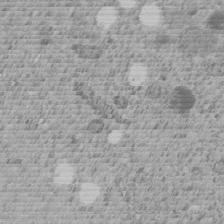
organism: C. elegans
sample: C. elegans embryo early stage